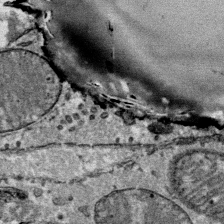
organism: Mouse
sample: Mouse Salivary gland